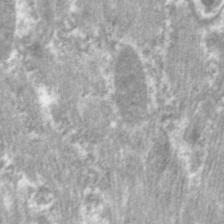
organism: C. elegans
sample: Pharynx